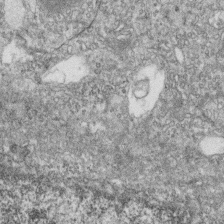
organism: Zebrafish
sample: Cilia; retinal pigment epithelium